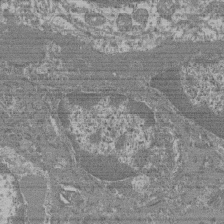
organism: Mouse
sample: Glomerulus